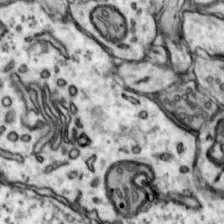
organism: Mouse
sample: Nucleus accumbens